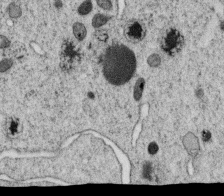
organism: C. elegans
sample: C. elegans oocyte; sperm cells